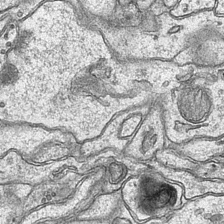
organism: Mouse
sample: CA1 Hippocampus